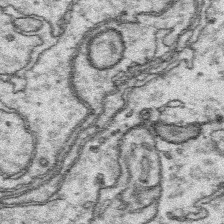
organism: Platynereis dumerilii